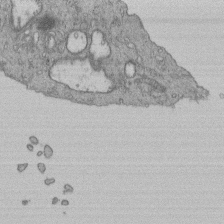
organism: Human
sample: Retinal organoid Rod and Cone cells